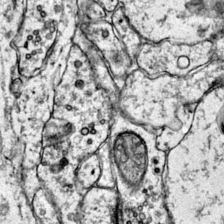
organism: Mouse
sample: Primary visual cortex